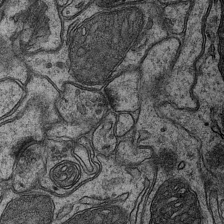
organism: Mouse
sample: CA1 Hippocampus